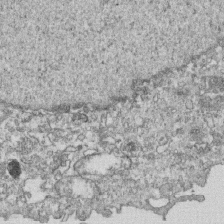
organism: Human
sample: HeLa cell HIV synapse